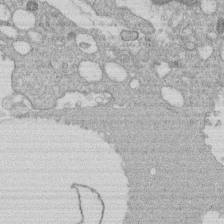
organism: Human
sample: Macrophage cells